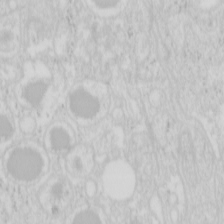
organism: Mouse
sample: Pancreas